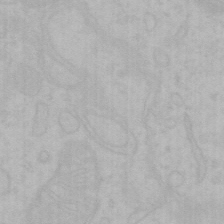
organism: Mouse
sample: Choroid plexus